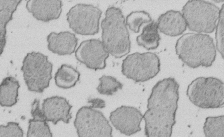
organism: E. coli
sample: Bacterial nucleoid